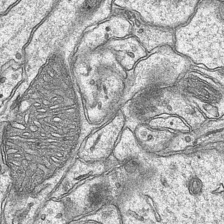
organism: Mouse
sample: CA1 Hippocampus